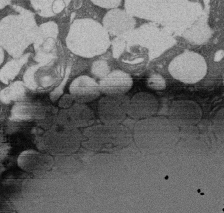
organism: Rat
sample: Salivary granule